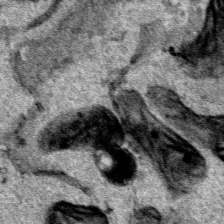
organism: Human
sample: Mitochondria in HCT116 cells